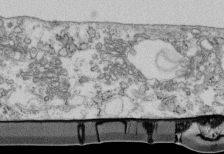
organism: Mouse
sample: Cilia; retinal pigment epithelium